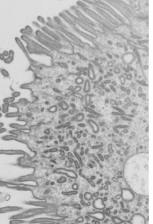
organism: Mouse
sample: Mouse epididymis efferent ductule cilia